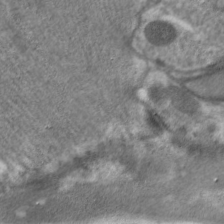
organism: C. elegans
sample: Pharynx